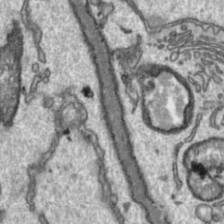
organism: Toxoplasma gondii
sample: Parasites in a vacuole inside a host cell